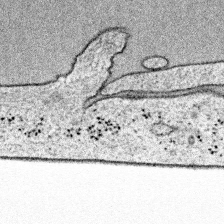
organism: Human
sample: HeLa cells